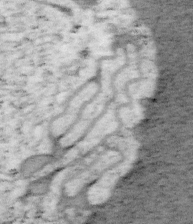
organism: Mouse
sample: OT-I killer T cells with ID8 ovarian cancer cells